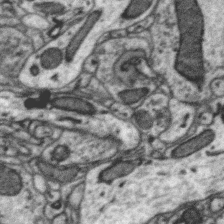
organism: Zebra finch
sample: Brain